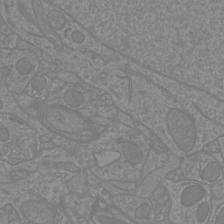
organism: Mouse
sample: Cortical neurons